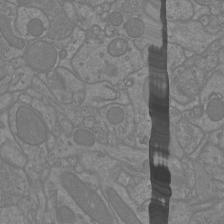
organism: Mouse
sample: Cortical neurons